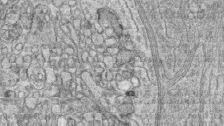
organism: Zebrafish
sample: synaptic ribbons in rod cells and cone cells